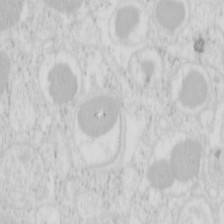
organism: Mouse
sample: Pancreas